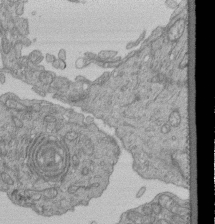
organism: Human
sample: Retinal organoid Rod and Cone cells